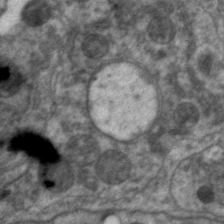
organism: C. elegans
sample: Pharynx